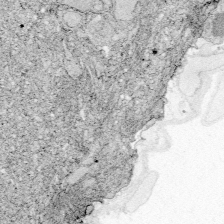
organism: Zebrafish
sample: Whole-Brain